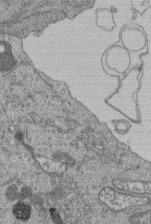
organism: Human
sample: Retinal organoid Rod and Cone cells